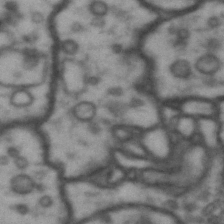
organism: Drosophila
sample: Brain